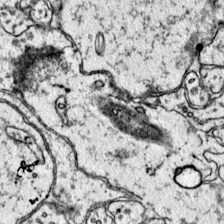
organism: Mouse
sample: Primary visual cortex